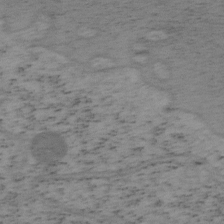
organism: Mouse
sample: OT-I killer T cells with ID8 ovarian cancer cells